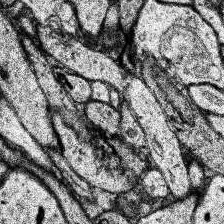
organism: Human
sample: Temporal Lobe